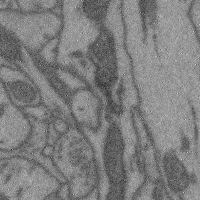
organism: Mouse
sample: Cerebral cortex